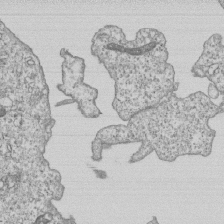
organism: Human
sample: MDA-MB-231 cells